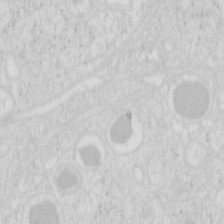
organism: Mouse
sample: Pancreas